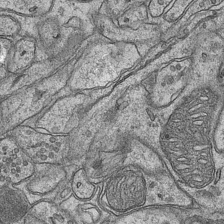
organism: Mouse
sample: CA1 Hippocampus